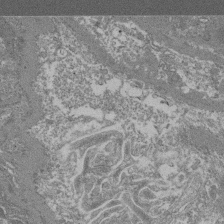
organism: Mouse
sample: Glomerulus